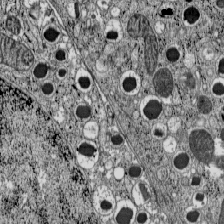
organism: C57BL Mouse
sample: Pancreatic islet